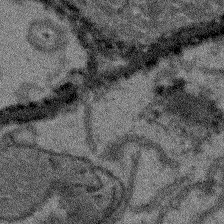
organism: Arabidopsis thaliana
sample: Root tip